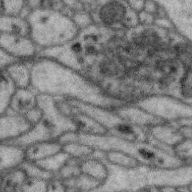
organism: Zebra finch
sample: Brain